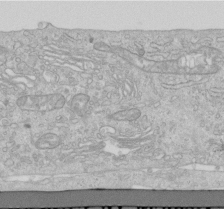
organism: Human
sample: Centriole in RPE cells